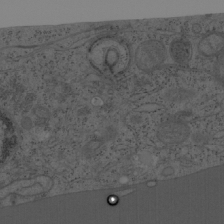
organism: Human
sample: HeLa cells